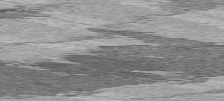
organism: C57BL Mouse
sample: Heart